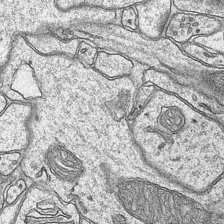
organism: Mouse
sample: CA1 Hippocampus